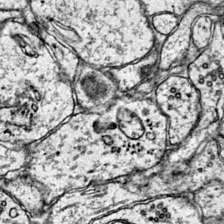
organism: Mouse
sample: Primary visual cortex